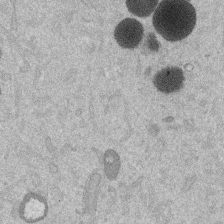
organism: Mouse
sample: Dividing mouse embryo 1 cell stage